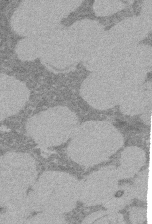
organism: Rat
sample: Salivary granule